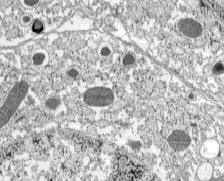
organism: C57BL Mouse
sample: Pancreatic islet